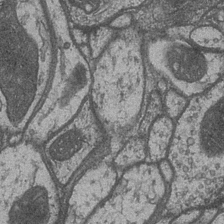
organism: Drosophila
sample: Optic medulla